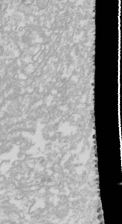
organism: Drosophila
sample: Cell division; meiosis; drosophila spermatocytes